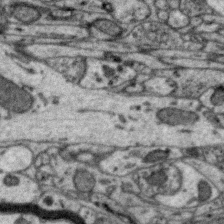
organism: Zebra finch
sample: Brain